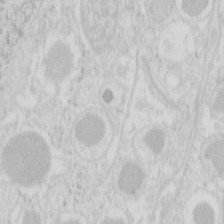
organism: Mouse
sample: Pancreas